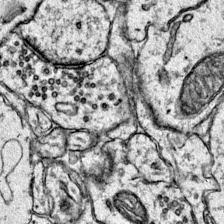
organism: Mouse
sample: Primary visual cortex